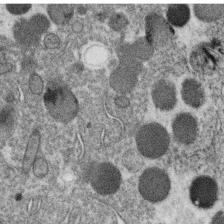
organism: C. elegans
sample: C. elegans oocyte; sperm cells